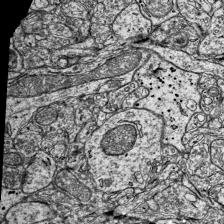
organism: Mouse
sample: Visual Cortex